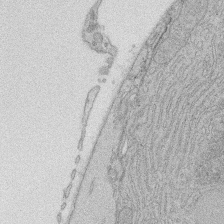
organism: Rat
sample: Salivary granule